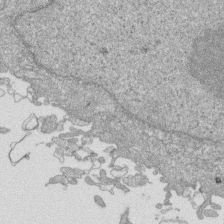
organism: Human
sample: HeLa cell HIV synapse